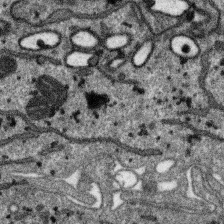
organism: Human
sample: Lung epithelial cells infected with SARS-CoV-2